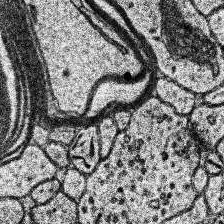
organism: Human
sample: Temporal Lobe